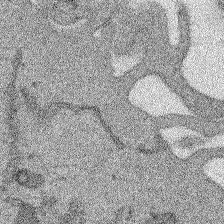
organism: Human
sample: HeLa cells